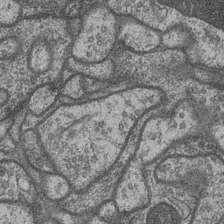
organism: Drosophila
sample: Optic medulla